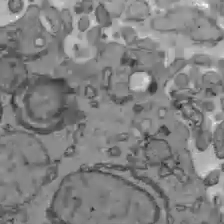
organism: C57BL Mouse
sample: Liver